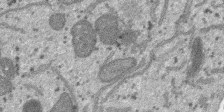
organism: Human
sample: Lung epithelial cells infected with SARS-CoV-2